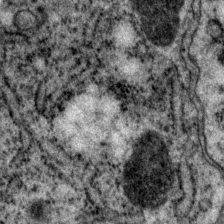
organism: P. pacificus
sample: Pharynx